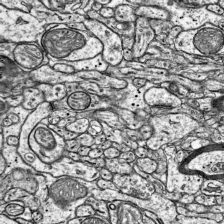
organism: Mouse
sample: Visual Cortex